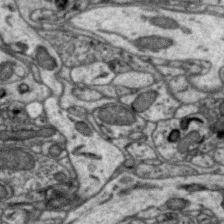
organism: Zebra finch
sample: Brain